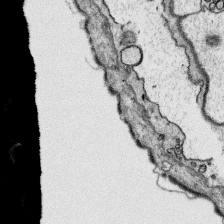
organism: Platynereis dumerilii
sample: Parapodia